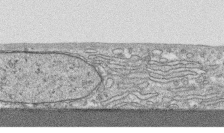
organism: Human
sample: CRL-1474